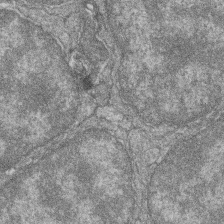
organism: Zebrafish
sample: Cilia; retinal pigment epithelium